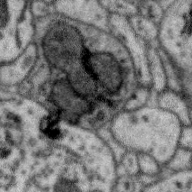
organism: Zebra finch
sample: Brain